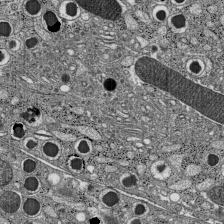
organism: C57BL Mouse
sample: Pancreatic islet